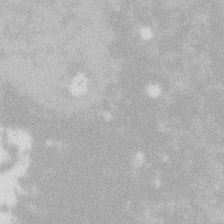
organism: Zebrafish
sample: Macrophage